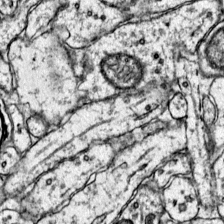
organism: Mouse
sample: Primary visual cortex